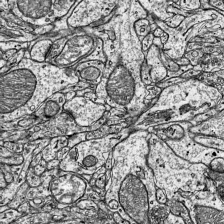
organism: Mouse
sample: Visual Cortex